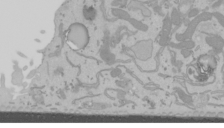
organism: Mouse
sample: Cancer cell death in ED-1 cells